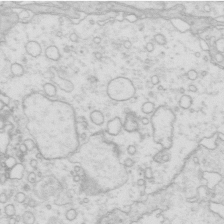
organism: Mouse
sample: Multiciliated cells